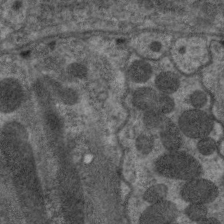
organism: C. elegans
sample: Pharynx